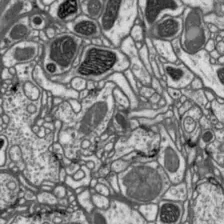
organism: Drosophila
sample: Protocerebral bridge